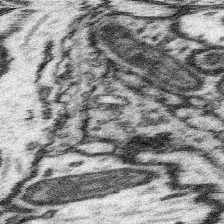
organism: Mouse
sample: Somatosensory cortex neuropil